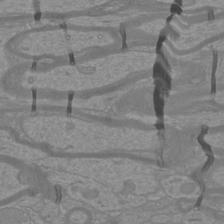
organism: Mouse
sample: Cortical neurons